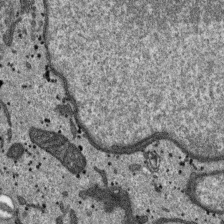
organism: Human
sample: Lung epithelial cells, uninfected (mock) control